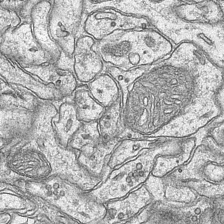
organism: Mouse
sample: CA1 Hippocampus